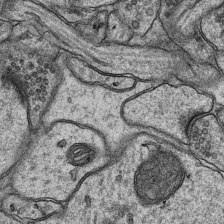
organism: Mouse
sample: CA1 Hippocampus